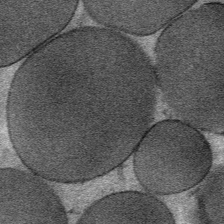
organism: Mouse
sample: Mouse Salivary gland